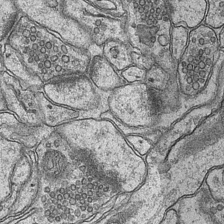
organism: Mouse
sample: CA1 Hippocampus